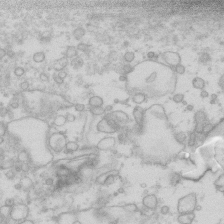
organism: Human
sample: Fibroblast cells